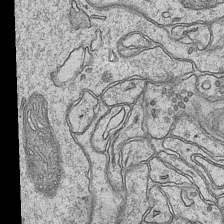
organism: Mouse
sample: CA1 Hippocampus